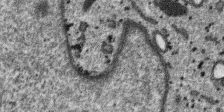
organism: Human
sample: Lung epithelial cells infected with SARS-CoV-2